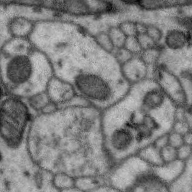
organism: Zebra finch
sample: Brain